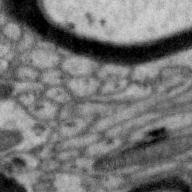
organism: Zebra finch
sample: Brain